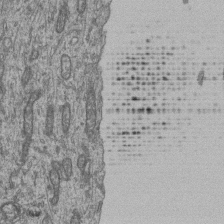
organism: Human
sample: Retinal organoid Rod and Cone cells